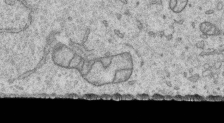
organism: Human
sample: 1205lu cells